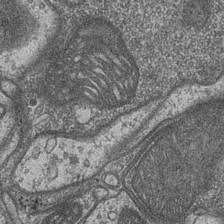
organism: Drosophila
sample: Optic medulla